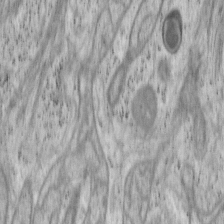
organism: Human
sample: HeLa cells